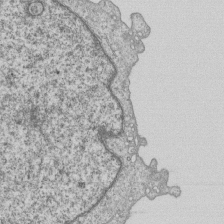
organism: Human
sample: MDA-MB-231 cells